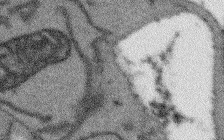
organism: Arabidopsis thaliana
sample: Root tip